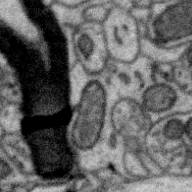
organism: Zebra finch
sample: Brain